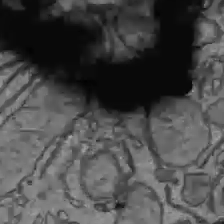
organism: C57BL Mouse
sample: Liver